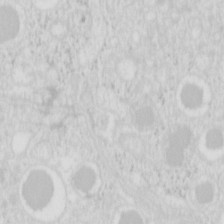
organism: Mouse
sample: Pancreas